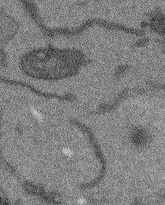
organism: Arabidopsis thaliana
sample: Root tip